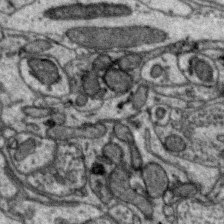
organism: Zebra finch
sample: Brain